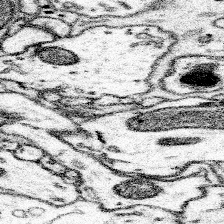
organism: Mouse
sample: Somatosensory cortex neuropil